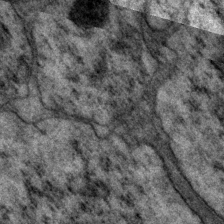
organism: P. pacificus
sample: Pharynx